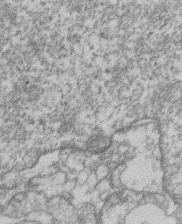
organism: Mouse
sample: T cell stromal cell synapse